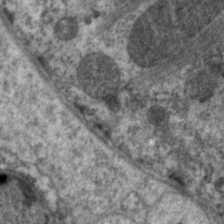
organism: C. elegans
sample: Pharynx